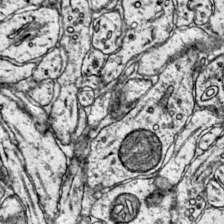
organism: Mouse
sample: Primary visual cortex